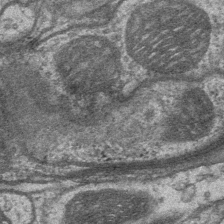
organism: Drosophila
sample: Optic medulla